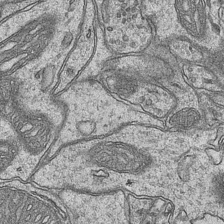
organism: Mouse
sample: CA1 Hippocampus